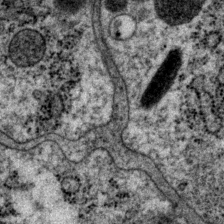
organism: P. pacificus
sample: Pharynx